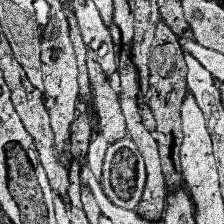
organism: Human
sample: Temporal Lobe